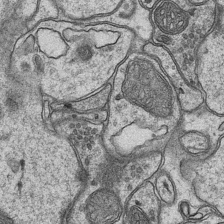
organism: Mouse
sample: CA1 Hippocampus